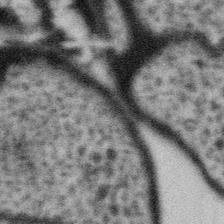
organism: Gemmata obscuriglobus